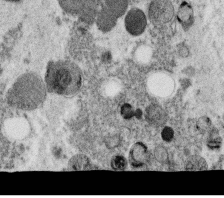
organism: C. elegans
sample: C. elegans oocyte; sperm cells